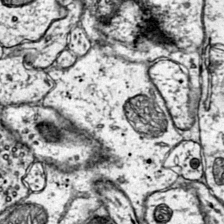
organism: Mouse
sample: Primary visual cortex